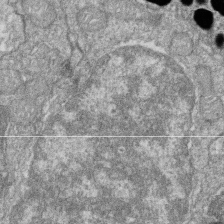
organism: Zebrafish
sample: Cilia; retinal pigment epithelium